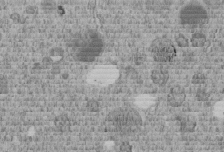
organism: C. elegans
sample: C. elegans embryo early stage